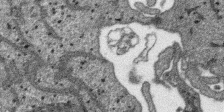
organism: Human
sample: Lung epithelial cells infected with SARS-CoV-2